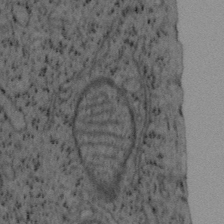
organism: Human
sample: HeLa cells